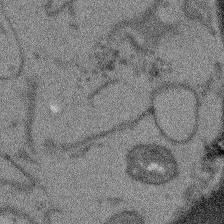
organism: Arabidopsis thaliana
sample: Root tip